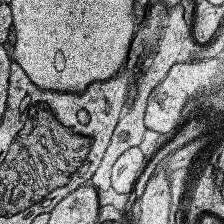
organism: Human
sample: Temporal Lobe